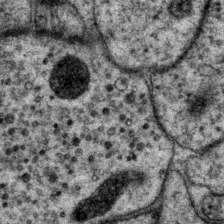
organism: P. pacificus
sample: Pharynx